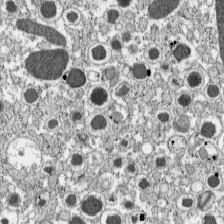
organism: C57BL Mouse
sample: Pancreatic islet